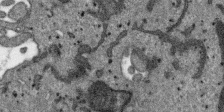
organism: Human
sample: Lung epithelial cells, uninfected (mock) control